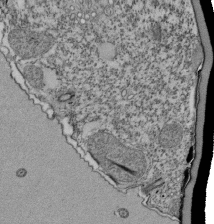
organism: Tetrahymena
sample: Cilia in tetrahymena